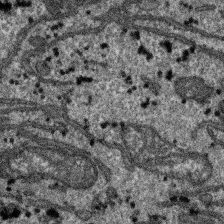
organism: Human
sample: Lung epithelial cells infected with SARS-CoV-2